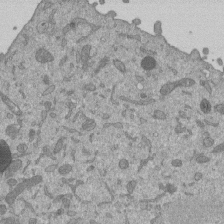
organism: Mouse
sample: ED-1 cell nuclei; centrioles